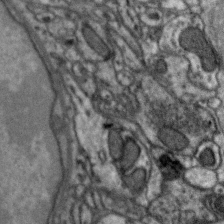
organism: Zebra finch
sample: Brain